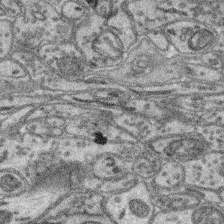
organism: Mouse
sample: Retina